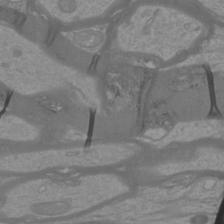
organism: Mouse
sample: Cortical neurons